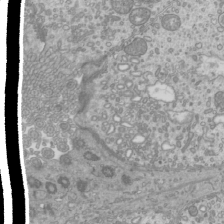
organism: Mouse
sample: Cilia; mouse epididymis